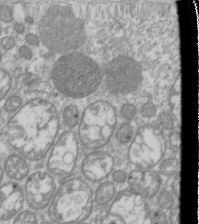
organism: Drosophila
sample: Cell division; meiosis; drosophila spermatocytes